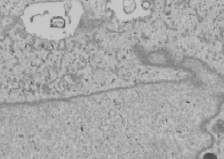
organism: Human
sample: Mitochondria in U2OS cells